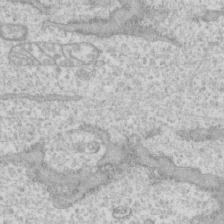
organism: Human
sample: CRL-1474